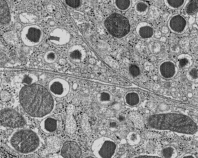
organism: C57BL Mouse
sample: Pancreatic islet